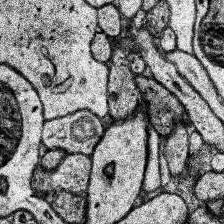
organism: Human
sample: Temporal Lobe